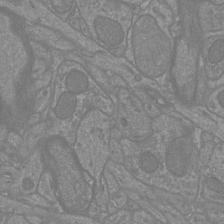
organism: Mouse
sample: Cortical neurons